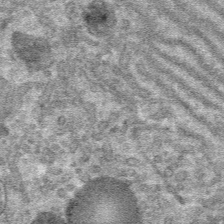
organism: Mouse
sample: Mouse hepatocytes